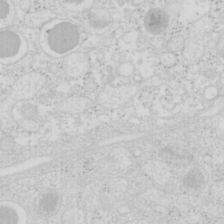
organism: Mouse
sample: Pancreas